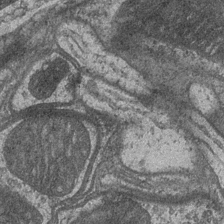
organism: Drosophila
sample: Optic medulla